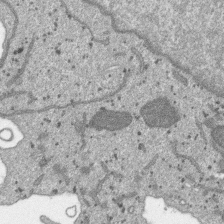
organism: Human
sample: Lung epithelial cells infected with SARS-CoV-2